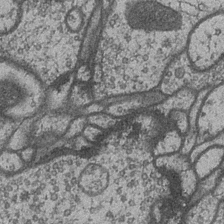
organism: Drosophila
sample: Optic medulla